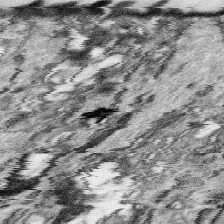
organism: Human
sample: HeLa cells